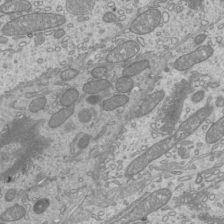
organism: Mouse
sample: Cilia; mouse epididymis